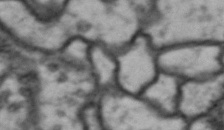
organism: Drosophila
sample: Brain